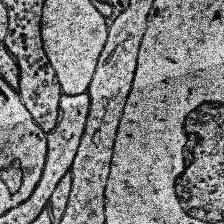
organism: Human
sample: Temporal Lobe